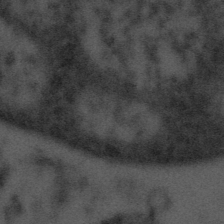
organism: Tuwongella immobilis